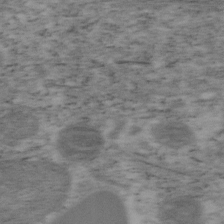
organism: Mouse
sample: OT-I killer T cells with ID8 ovarian cancer cells